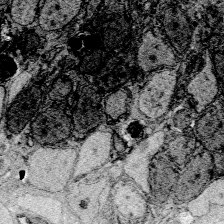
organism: Zebrafish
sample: Whole-Brain